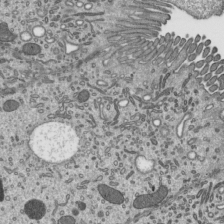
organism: Mouse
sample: Mouse epididymis efferent ductule cilia